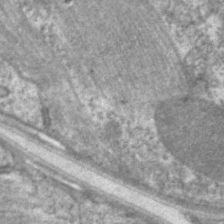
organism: C. elegans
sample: Pharynx